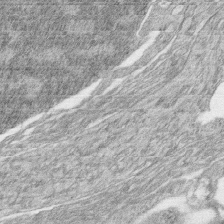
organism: Zebrafish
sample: synaptic ribbons in rod cells and cone cells